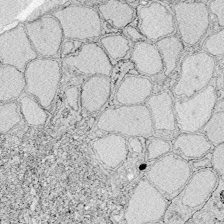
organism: Zebrafish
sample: Whole-Brain